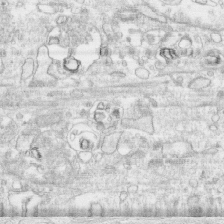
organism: Human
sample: CRL-1474